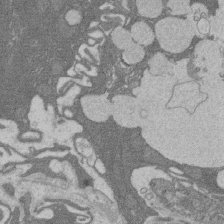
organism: Rat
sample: Salivary granule